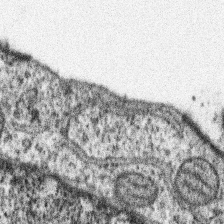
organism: Human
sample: HeLa cells